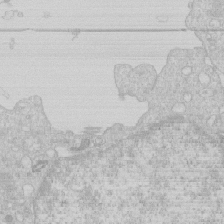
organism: Human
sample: Macrophage cells